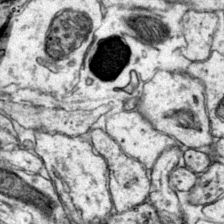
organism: Mouse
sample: Primary visual cortex